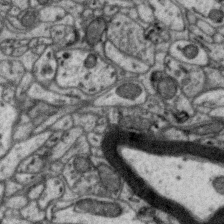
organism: Zebra finch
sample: Brain